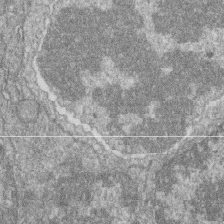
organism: Zebrafish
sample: Cilia; retinal pigment epithelium